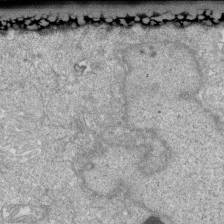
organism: Human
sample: HeLa cell HIV synapse